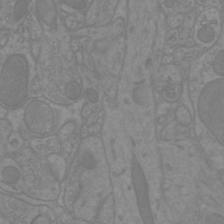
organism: Mouse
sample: Cortical neurons